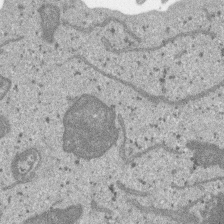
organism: Human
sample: Lung epithelial cells infected with SARS-CoV-2